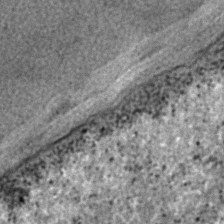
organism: C. elegans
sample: C. elegans embryo